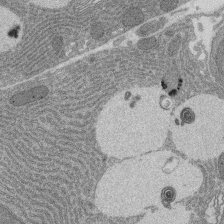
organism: Rat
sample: Salivary granule